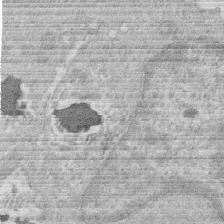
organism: Human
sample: Macrophage cells